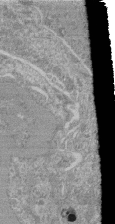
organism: Mouse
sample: Glomerulus